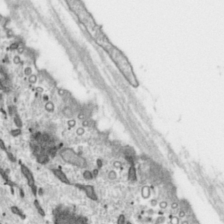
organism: Toxoplasma gondii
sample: Parasites in a vacuole inside a host cell